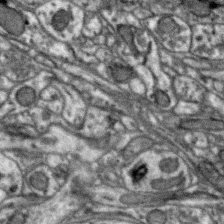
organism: Zebra finch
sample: Brain